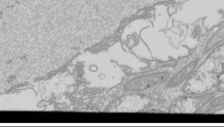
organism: Drosophila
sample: Cell division; meiosis; drosophila spermatocytes